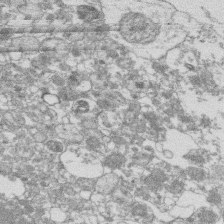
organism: Human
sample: HeLa cell HIV synapse